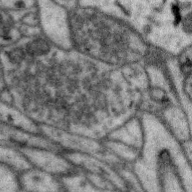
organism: Zebra finch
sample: Brain